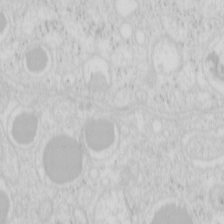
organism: Mouse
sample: Pancreas